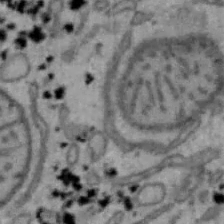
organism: Mouse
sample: Liver